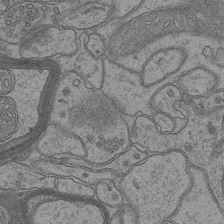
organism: Mouse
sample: CA1 Hippocampus